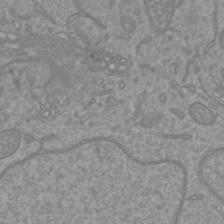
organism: Mouse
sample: Cortical neurons